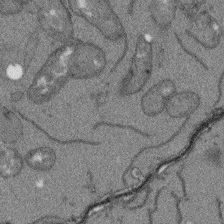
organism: Arabidopsis thaliana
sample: Root tip